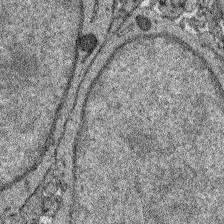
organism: Zebrafish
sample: Larval olfactory bulb